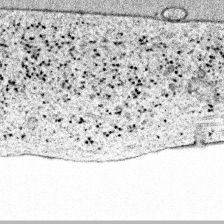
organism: Human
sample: HeLa cells